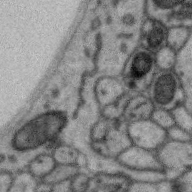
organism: Zebra finch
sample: Brain